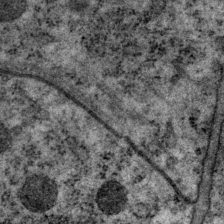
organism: P. pacificus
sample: Pharynx